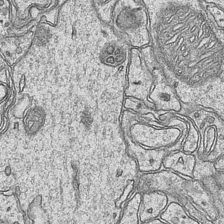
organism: Mouse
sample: CA1 Hippocampus